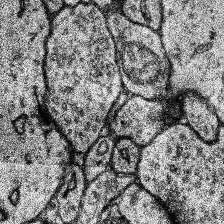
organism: Human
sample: Temporal Lobe